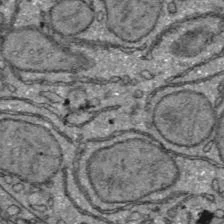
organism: C57BL Mouse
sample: Liver